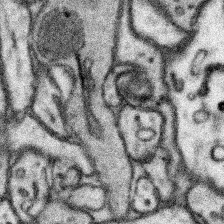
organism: Mouse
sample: Somatosensory cortex neuropil